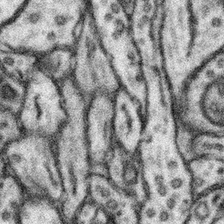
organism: Mouse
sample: Somatosensory cortex neuropil